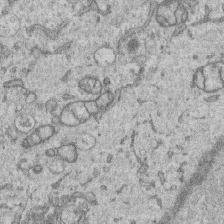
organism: Human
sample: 1205lu cells